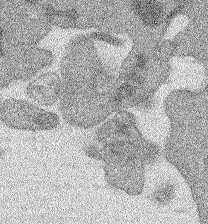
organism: Human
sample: HeLa cells